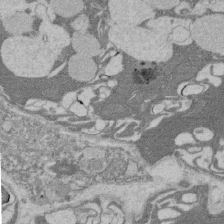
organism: Rat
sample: Salivary granule